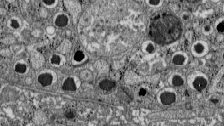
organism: C57BL Mouse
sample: Pancreatic islet